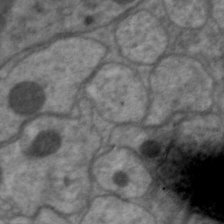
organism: C. elegans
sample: Pharynx